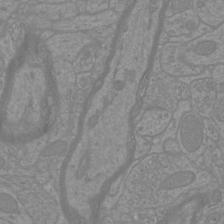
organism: Mouse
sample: Cortical neurons